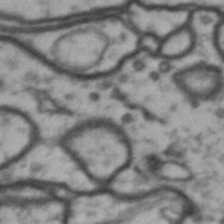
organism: Drosophila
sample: Brain